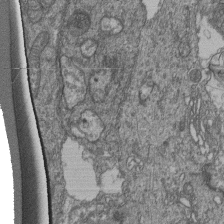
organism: Human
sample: Retinal organoid Rod and Cone cells